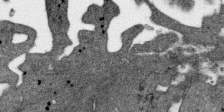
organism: Human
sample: Lung epithelial cells, uninfected (mock) control